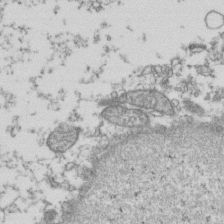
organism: Human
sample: Activated Jurkat CD4+ T cells